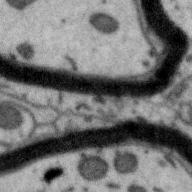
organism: Zebra finch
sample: Brain